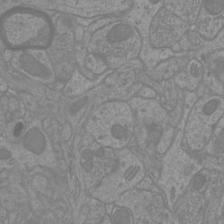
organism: Mouse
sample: Cortical neurons